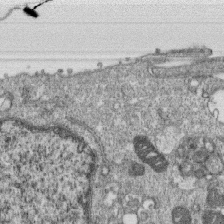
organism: African green monkey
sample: Vero E6 cells infected with SARS-CoV-2